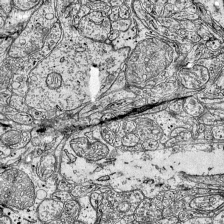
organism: Mouse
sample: Visual Cortex